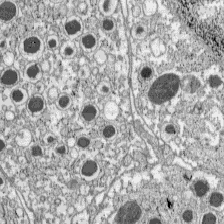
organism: C57BL Mouse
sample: Pancreatic islet